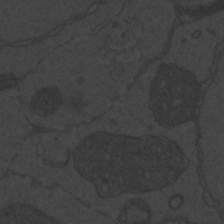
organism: Zebrafish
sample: Macrophage infected with Toxoplasma gondii